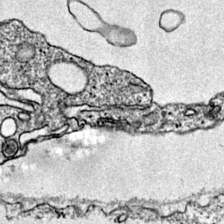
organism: Mouse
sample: Primary visual cortex